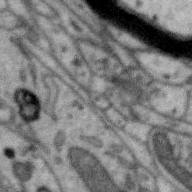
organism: Zebra finch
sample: Brain